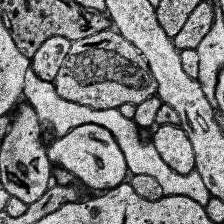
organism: Human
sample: Temporal Lobe